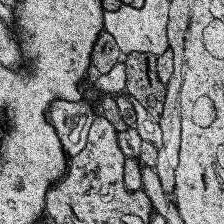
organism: Human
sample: Temporal Lobe